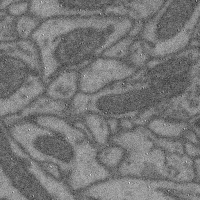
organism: Mouse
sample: Cerebral cortex